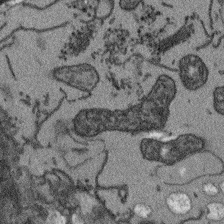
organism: Arabidopsis thaliana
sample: Root tip